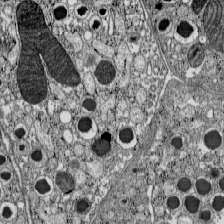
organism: C57BL Mouse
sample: Pancreatic islet